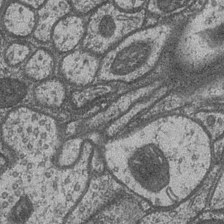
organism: Drosophila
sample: Optic medulla